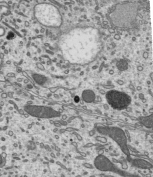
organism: Mouse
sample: Mouse epididymis efferent ductule cilia